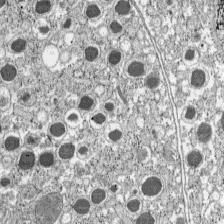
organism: C57BL Mouse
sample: Pancreatic islet